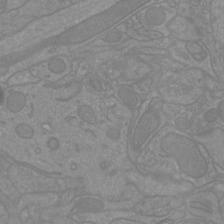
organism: Mouse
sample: Cortical neurons